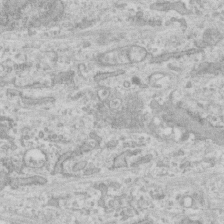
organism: Human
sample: CRL-1474